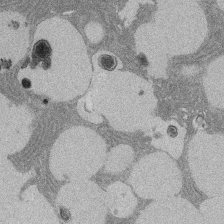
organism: Rat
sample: Salivary granule